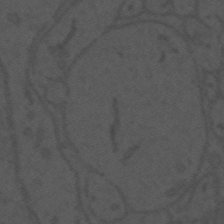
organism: Mouse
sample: Suprachiasmatic nucleus